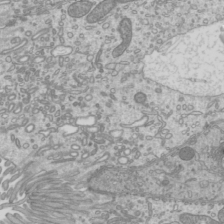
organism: Mouse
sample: Cilia; mouse epididymis